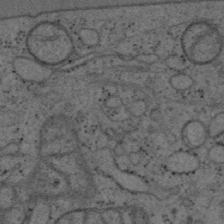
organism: Human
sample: HeLa cells